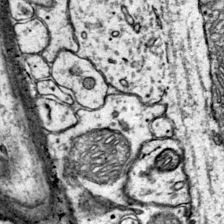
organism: Mouse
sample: Primary visual cortex